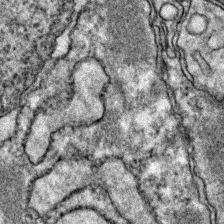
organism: Zebrafish